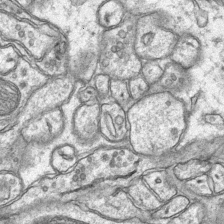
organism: Mouse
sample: CA1 Hippocampus